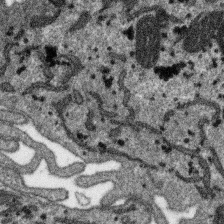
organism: Human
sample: Lung epithelial cells infected with SARS-CoV-2